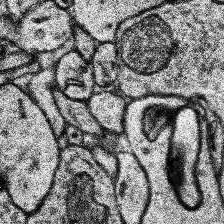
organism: Human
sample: Temporal Lobe